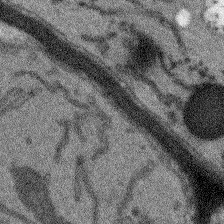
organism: Arabidopsis thaliana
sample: Root tip